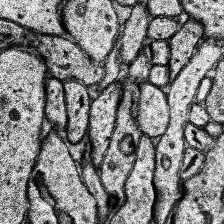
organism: Human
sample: Temporal Lobe